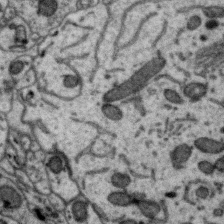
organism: Zebra finch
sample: Brain